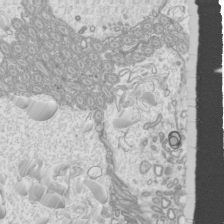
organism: Mouse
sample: Cilia; mouse epididymis